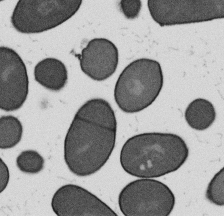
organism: B. subtilis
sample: Bacterial spore